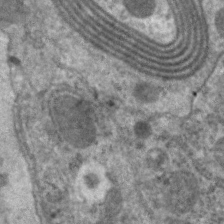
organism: C. elegans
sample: Pharynx